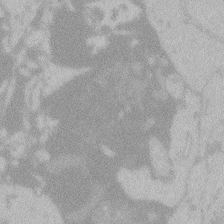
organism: Zebrafish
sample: Macrophage infected with Toxoplasma gondii